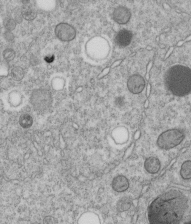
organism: C. elegans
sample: C. elegans embryo early stage